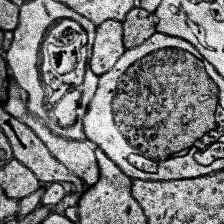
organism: Human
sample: Temporal Lobe